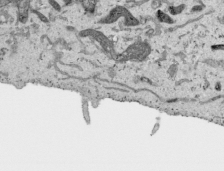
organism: Human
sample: Mitochondria in HCT116 cells